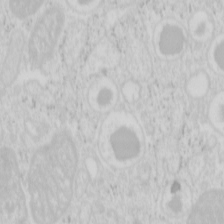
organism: Mouse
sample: Pancreas